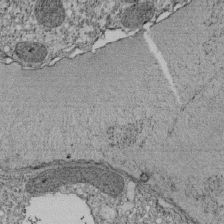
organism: Tetrahymena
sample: Cilia in tetrahymena